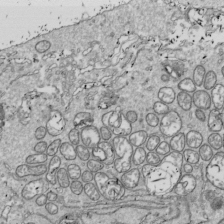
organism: Drosophila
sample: Cell division; meiosis; drosophila spermatocytes